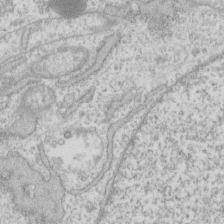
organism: Human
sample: Fibroblast cells